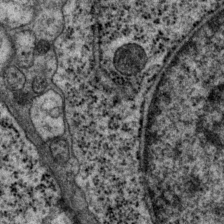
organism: P. pacificus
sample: Pharynx